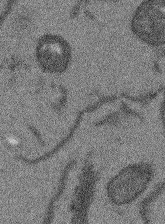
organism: Arabidopsis thaliana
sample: Root tip